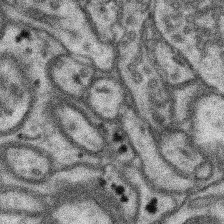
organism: Mouse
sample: Somatosensory cortex neuropil